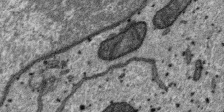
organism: Human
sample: Lung epithelial cells, uninfected (mock) control